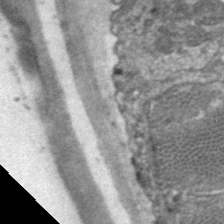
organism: C. elegans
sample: Pharynx